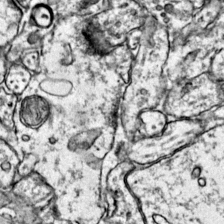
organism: Mouse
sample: Primary visual cortex